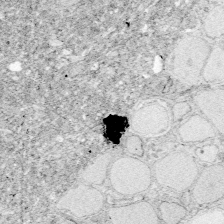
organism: Zebrafish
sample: Whole-Brain